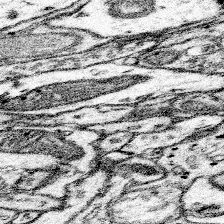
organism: Mouse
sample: Somatosensory cortex neuropil